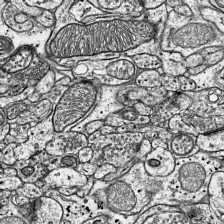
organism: Mouse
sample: Visual Cortex